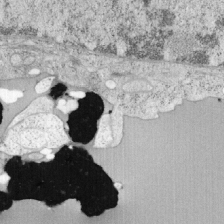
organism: Human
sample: HeLa cells